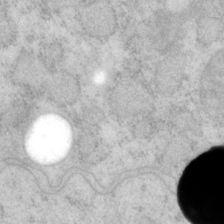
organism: P. pacificus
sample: Pharynx